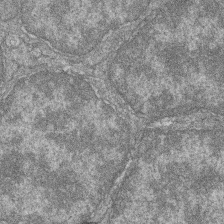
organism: Zebrafish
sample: Cilia; retinal pigment epithelium